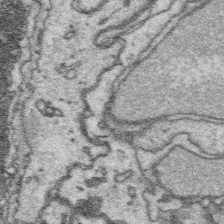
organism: Platynereis dumerilii